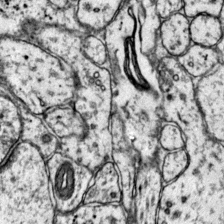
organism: Mouse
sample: Primary visual cortex